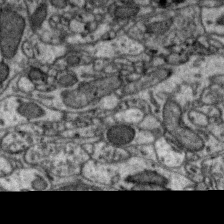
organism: Zebra finch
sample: Brain